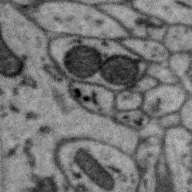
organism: Zebra finch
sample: Brain